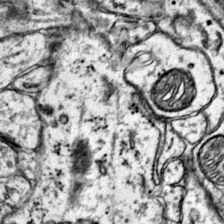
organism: Mouse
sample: Primary visual cortex